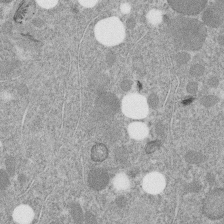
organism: C. elegans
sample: C. elegans embryo early stage